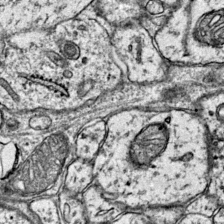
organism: Mouse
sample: Primary visual cortex